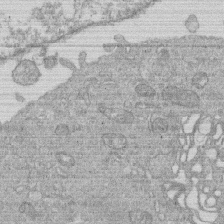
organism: Human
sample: Macrophage cells